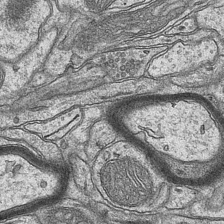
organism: Mouse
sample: CA1 Hippocampus